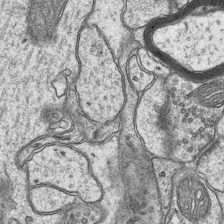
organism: Mouse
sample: CA1 Hippocampus